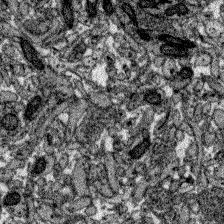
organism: Zebrafish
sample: Larval olfactory bulb